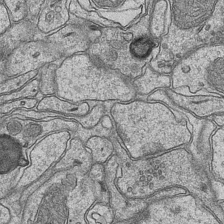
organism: Mouse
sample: CA1 Hippocampus